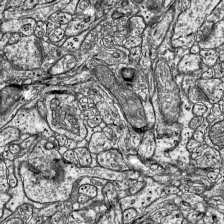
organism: Mouse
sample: Visual Cortex